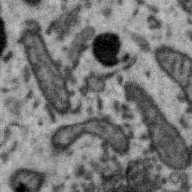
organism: Zebra finch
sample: Brain